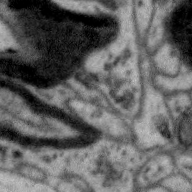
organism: Zebra finch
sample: Brain